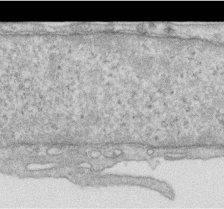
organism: Human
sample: Centriole in RPE cells